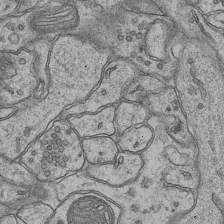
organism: Mouse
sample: CA1 Hippocampus